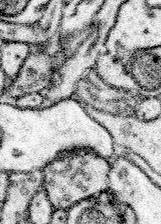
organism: Mouse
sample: Somatosensory cortex neuropil